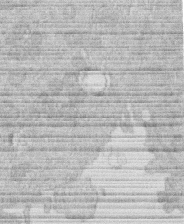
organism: Human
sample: Macrophage cells